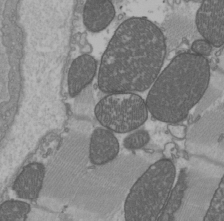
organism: C57BL Mouse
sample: Heart